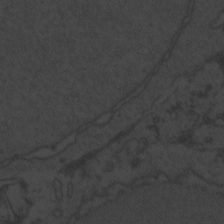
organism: Zebrafish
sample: Macrophage infected with Toxoplasma gondii